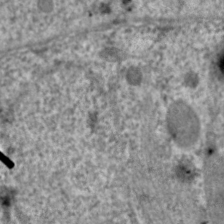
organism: C. elegans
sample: Pharynx